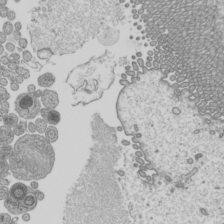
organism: Mouse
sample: Cilia; mouse epididymis